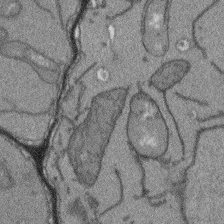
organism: Arabidopsis thaliana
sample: Root tip